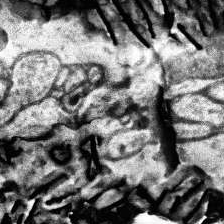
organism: Human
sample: Temporal Lobe